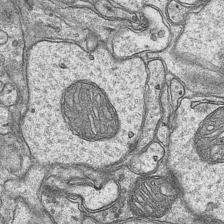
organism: Mouse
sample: CA1 Hippocampus